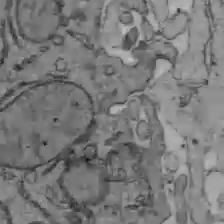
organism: C57BL Mouse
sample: Liver